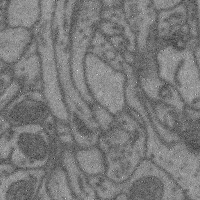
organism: Mouse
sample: Cerebral cortex